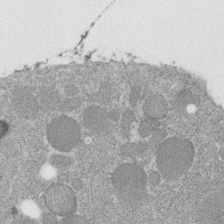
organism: C. elegans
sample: C. elegans embryo early stage